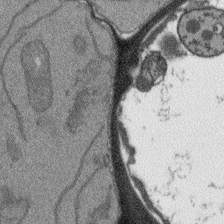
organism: Arabidopsis thaliana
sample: Root tip